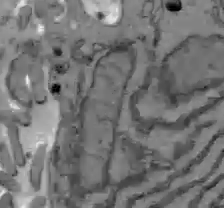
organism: C57BL Mouse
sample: Liver